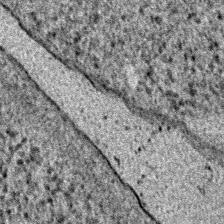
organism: E. coli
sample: E. Coli Bacteria